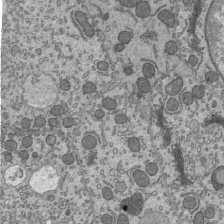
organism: Mouse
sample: Mouse epididymis efferent ductule cilia